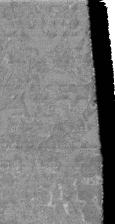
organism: Mouse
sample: Glomerulus